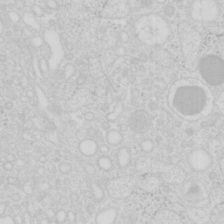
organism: Mouse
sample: Pancreas